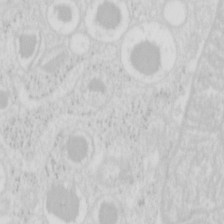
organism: Mouse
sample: Pancreas